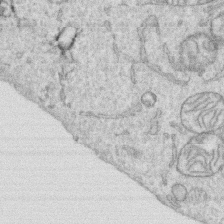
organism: Human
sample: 1205lu cells